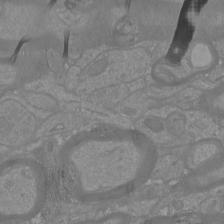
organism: Mouse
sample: Cortical neurons